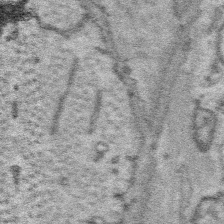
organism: Platynereis dumerilii